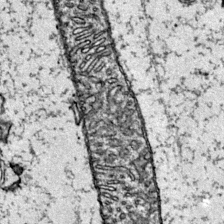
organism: Mouse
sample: Primary visual cortex